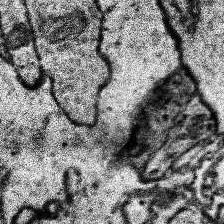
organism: Human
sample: Temporal Lobe